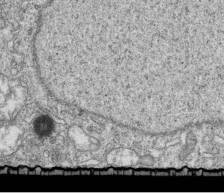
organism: Human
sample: HeLa cell HIV synapse